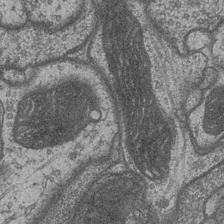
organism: Drosophila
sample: Optic medulla